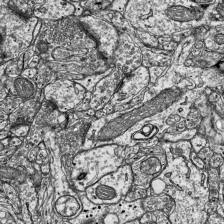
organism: Mouse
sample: Visual Cortex